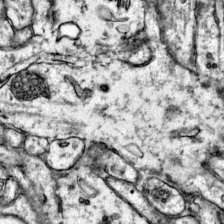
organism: Mouse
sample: Primary visual cortex